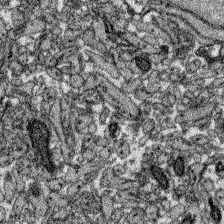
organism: Zebrafish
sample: Larval olfactory bulb